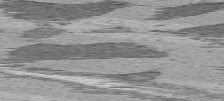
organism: C57BL Mouse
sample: Heart